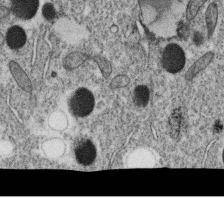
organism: C. elegans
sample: C. elegans oocyte; sperm cells